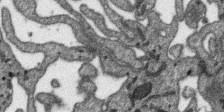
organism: Human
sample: Lung epithelial cells infected with SARS-CoV-2